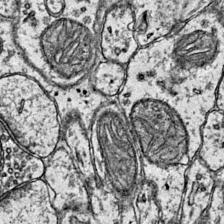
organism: Mouse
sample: Primary visual cortex